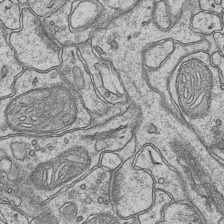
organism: Mouse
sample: CA1 Hippocampus